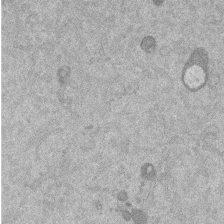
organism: Mouse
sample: Dividing mouse embryo 1 cell stage